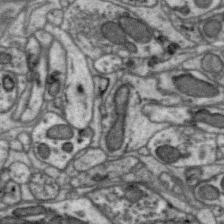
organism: Zebra finch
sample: Brain